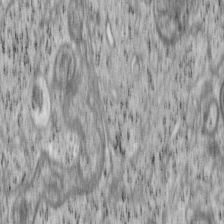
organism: Human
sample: HeLa cells